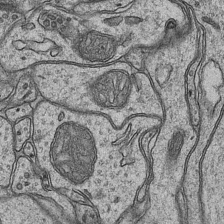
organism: Mouse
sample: CA1 Hippocampus